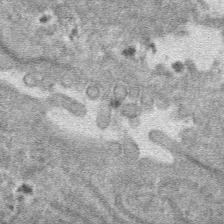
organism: Mouse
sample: Mouse hepatocytes